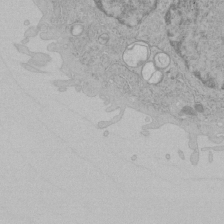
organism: Human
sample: Mitochondria in HCT116 cells